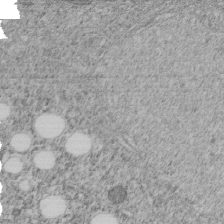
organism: C. elegans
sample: C. elegans embryo early stage